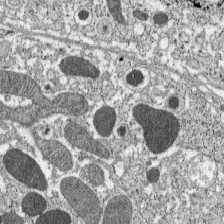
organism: C57BL Mouse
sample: Pancreatic islet